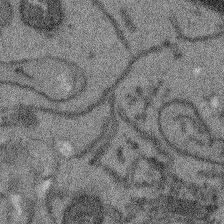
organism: Arabidopsis thaliana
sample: Root tip